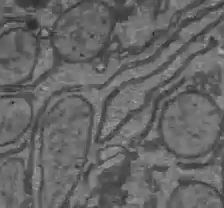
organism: C57BL Mouse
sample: Liver